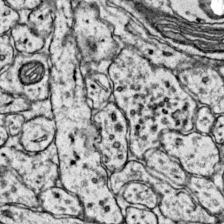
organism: Mouse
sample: Primary visual cortex